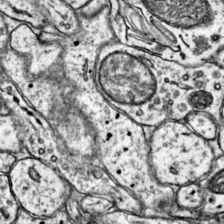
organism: Mouse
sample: Primary visual cortex